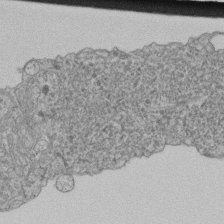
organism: Human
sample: Retinal organoid Rod and Cone cells